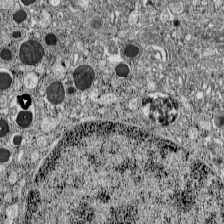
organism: C57BL Mouse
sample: Pancreatic islet